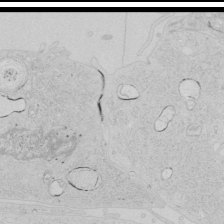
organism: Human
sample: Mitochondria in HCT116 cells